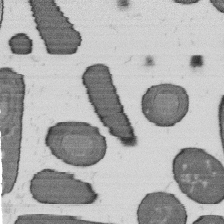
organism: B. subtilis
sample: Bacterial spore